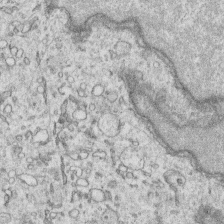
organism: Human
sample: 1205lu cells